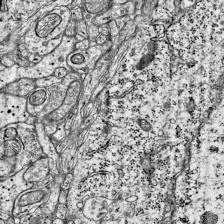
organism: Mouse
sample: Visual Cortex